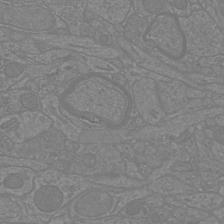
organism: Mouse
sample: Cortical neurons